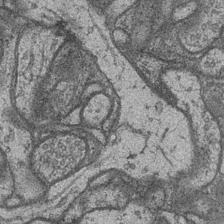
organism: Drosophila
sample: Optic medulla